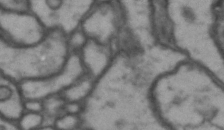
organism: Drosophila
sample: Brain